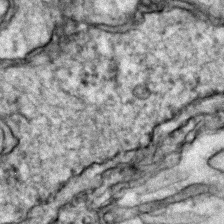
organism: Zebrafish